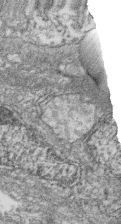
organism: Zebrafish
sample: Cilia; retinal pigment epithelium